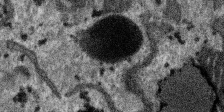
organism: Human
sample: Lung epithelial cells infected with SARS-CoV-2